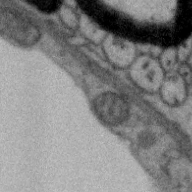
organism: Zebra finch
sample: Brain